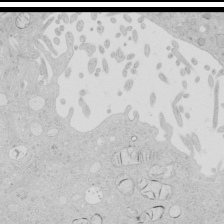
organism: Human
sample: Mitochondria in HCT116 cells